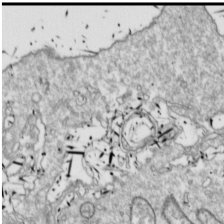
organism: Drosophila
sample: Cell division; meiosis; drosophila spermatocytes